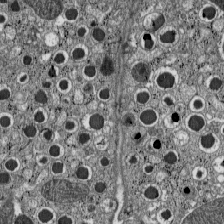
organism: C57BL Mouse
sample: Pancreatic islet